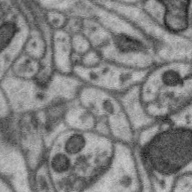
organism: Zebra finch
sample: Brain